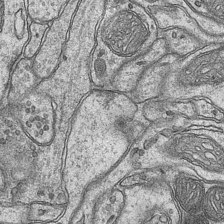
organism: Mouse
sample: CA1 Hippocampus